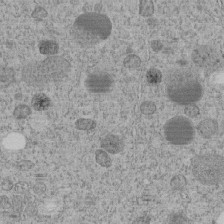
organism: C. elegans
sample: C. elegans embryo early stage